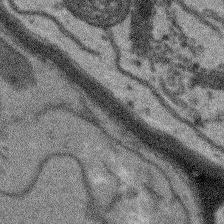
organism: Arabidopsis thaliana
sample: Root tip